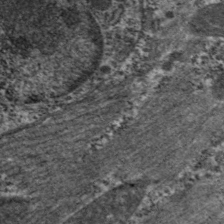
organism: C. elegans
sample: Pharynx